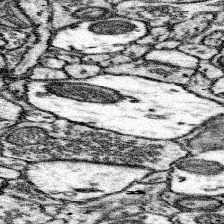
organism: Mouse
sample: Somatosensory cortex neuropil